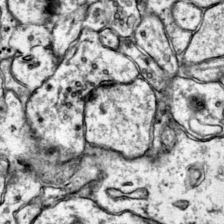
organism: Mouse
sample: Primary visual cortex